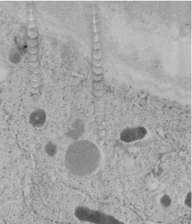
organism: C. elegans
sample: C. elegans embryo early stage